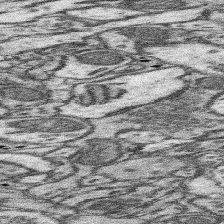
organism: Mouse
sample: Somatosensory cortex neuropil